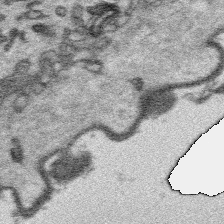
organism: Platynereis dumerilii